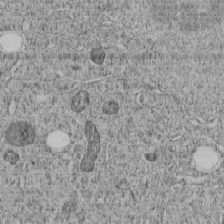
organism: C. elegans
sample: C. elegans embryo early stage